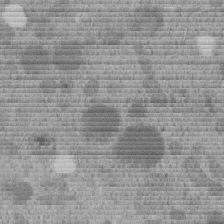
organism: C. elegans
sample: C. elegans embryo early stage